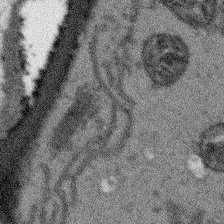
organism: Arabidopsis thaliana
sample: Root tip